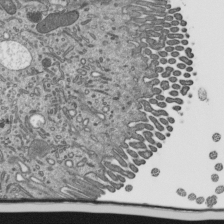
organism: Mouse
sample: Mouse epididymis efferent ductule cilia